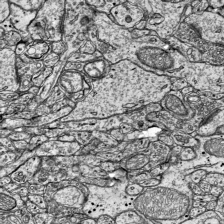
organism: Mouse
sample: Visual Cortex